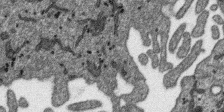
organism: Human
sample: Lung epithelial cells infected with SARS-CoV-2